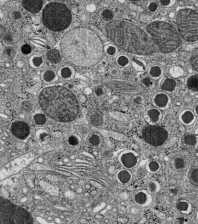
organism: C57BL Mouse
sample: Pancreatic islet